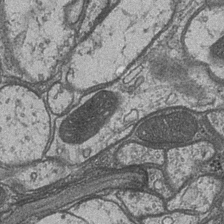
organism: Drosophila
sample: Optic medulla